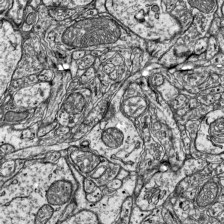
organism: Mouse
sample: Visual Cortex